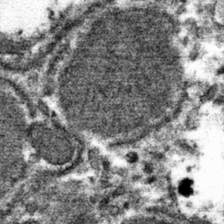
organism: Mouse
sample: Mouse hepatocytes